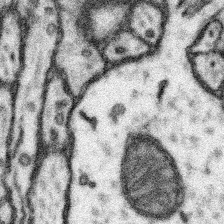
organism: Mouse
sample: Somatosensory cortex neuropil